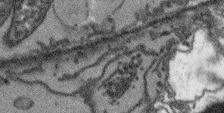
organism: Arabidopsis thaliana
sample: Root tip